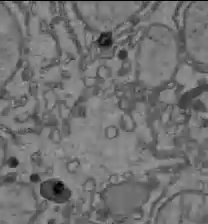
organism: C57BL Mouse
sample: Liver